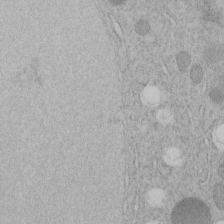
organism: C. elegans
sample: C. elegans embryo early stage